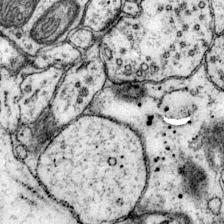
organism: Mouse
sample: Primary visual cortex